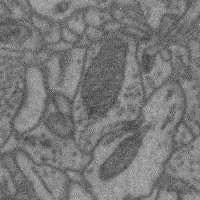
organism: Mouse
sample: Cerebral cortex